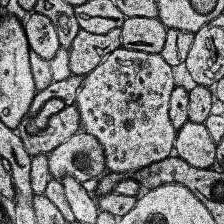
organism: Human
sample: Temporal Lobe